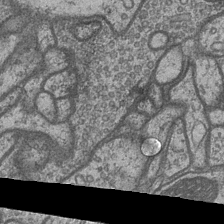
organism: Drosophila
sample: Optic medulla